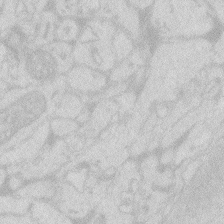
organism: Zebrafish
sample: Macrophage